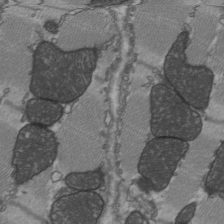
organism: C57BL Mouse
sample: Heart